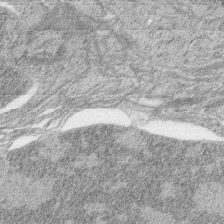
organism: Zebrafish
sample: synaptic ribbons in rod cells and cone cells